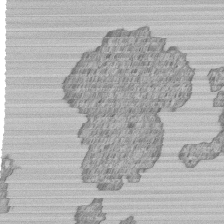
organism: Human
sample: MDA-MB-231 cells